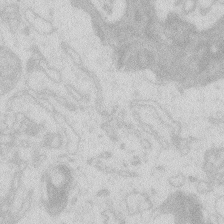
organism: Zebrafish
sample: Macrophage